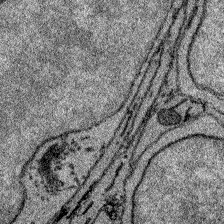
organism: Zebrafish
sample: Larval olfactory bulb